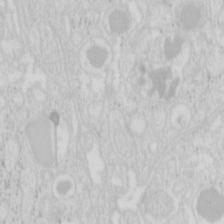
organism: Mouse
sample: Pancreas